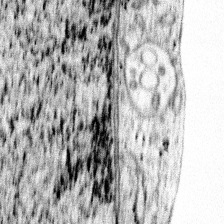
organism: Human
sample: HeLa cells